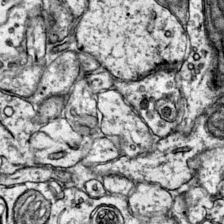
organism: Mouse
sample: Primary visual cortex